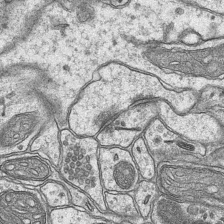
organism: Mouse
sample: CA1 Hippocampus